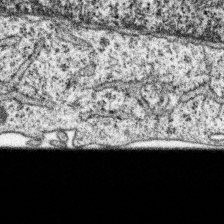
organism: Human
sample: HeLa cells